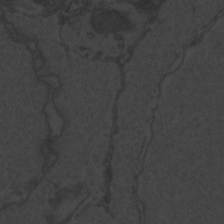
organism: Zebrafish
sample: Macrophage infected with Toxoplasma gondii